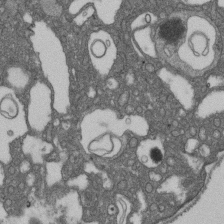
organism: Drosophila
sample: Nephrocyte